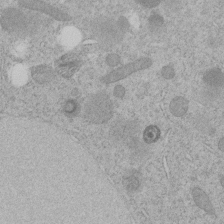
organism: C. elegans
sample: C. elegans embryo early stage